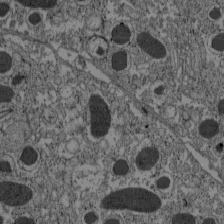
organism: C57BL Mouse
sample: Pancreatic islet